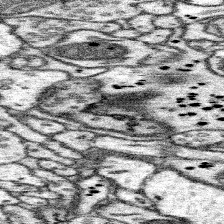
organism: Mouse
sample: Somatosensory cortex neuropil